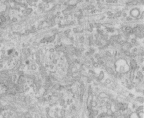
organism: Human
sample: Centriole in fibroblast cells